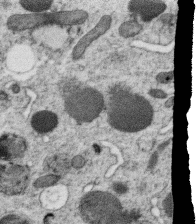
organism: C. elegans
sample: C. elegans oocyte; sperm cells